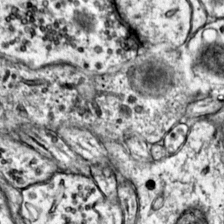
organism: Mouse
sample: Primary visual cortex